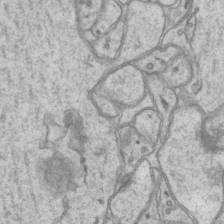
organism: Mouse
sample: CA1 Hippocampus